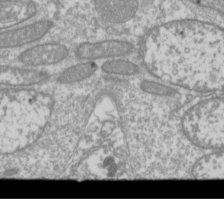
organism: Drosophila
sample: Cell division; meiosis; drosophila spermatocytes